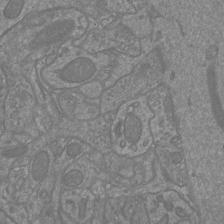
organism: Mouse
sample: Cortical neurons